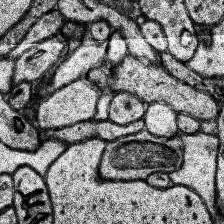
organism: Human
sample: Temporal Lobe